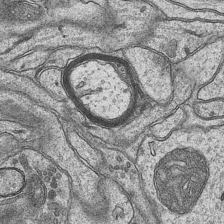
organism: Mouse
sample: CA1 Hippocampus